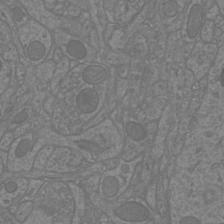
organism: Mouse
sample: Cortical neurons